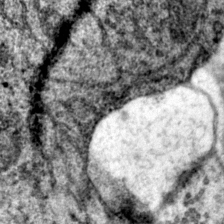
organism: Mouse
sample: Primary visual cortex